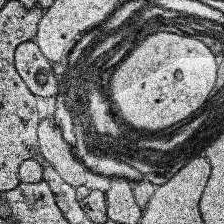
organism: Human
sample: Temporal Lobe